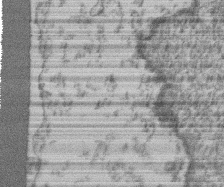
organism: Mouse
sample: T cell stromal cell synapse